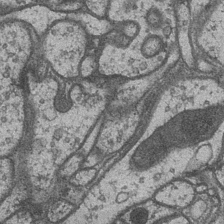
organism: Drosophila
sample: Optic medulla